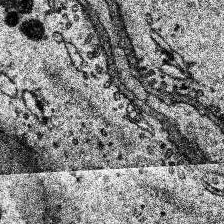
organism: Human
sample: Temporal Lobe